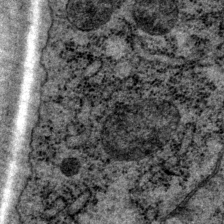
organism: P. pacificus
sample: Pharynx